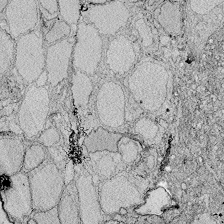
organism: Zebrafish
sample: Whole-Brain